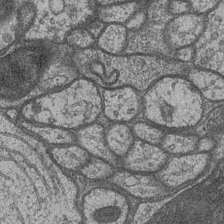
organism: Drosophila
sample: Optic medulla